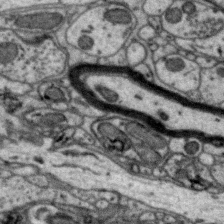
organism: Zebra finch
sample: Brain